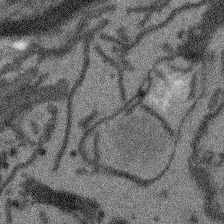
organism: Arabidopsis thaliana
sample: Root tip